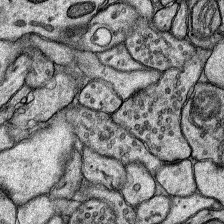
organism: Rat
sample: Hippocampus